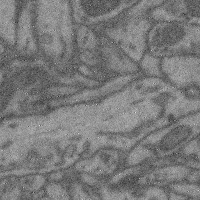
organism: Mouse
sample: Cerebral cortex